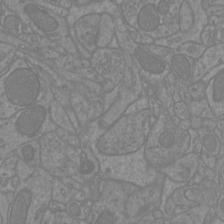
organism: Mouse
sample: Cortical neurons